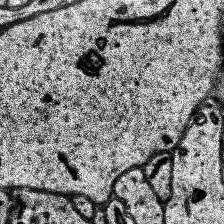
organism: Human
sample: Temporal Lobe